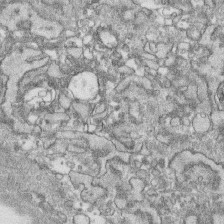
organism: Human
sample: CRL-1474